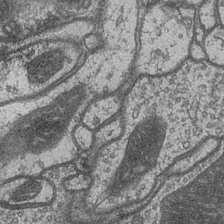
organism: Drosophila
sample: Optic medulla